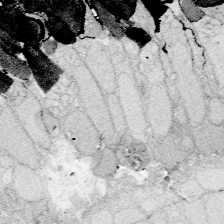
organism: Zebrafish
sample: Whole-Brain